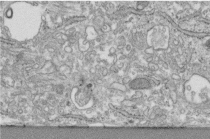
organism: Human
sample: Centriole in fibroblast cells